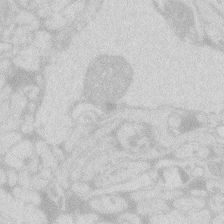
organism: Zebrafish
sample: Macrophage